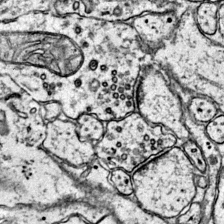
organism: Mouse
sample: Primary visual cortex